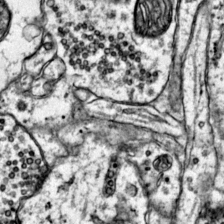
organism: Mouse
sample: Primary visual cortex